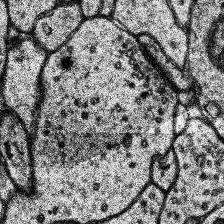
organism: Human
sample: Temporal Lobe